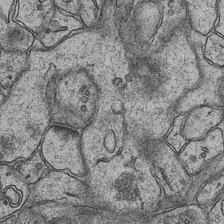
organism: Mouse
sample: CA1 Hippocampus